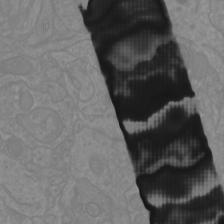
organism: Mouse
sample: Cortical neurons